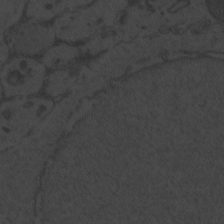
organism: Zebrafish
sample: Macrophage infected with Toxoplasma gondii